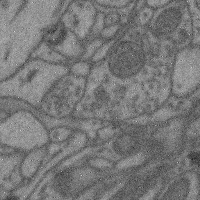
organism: Mouse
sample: Cerebral cortex